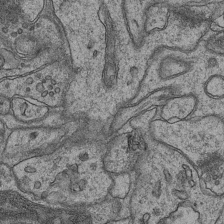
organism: Mouse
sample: CA1 Hippocampus